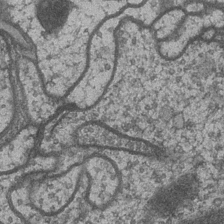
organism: Drosophila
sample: Optic medulla